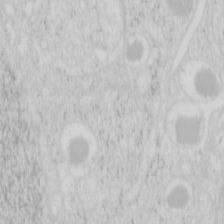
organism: Mouse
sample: Pancreas